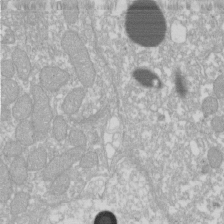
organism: Xenopus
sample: Cilia; centrioles in frog embryo cells